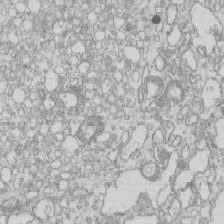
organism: Mouse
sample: Macrophages